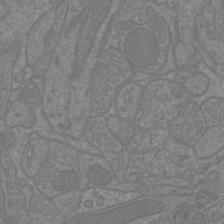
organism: Mouse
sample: Cortical neurons